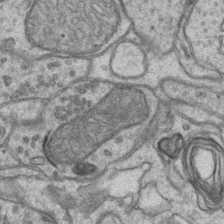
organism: Mouse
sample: CA1 Hippocampus